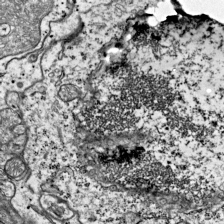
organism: Mouse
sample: Visual Cortex